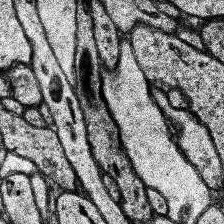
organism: Human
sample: Temporal Lobe